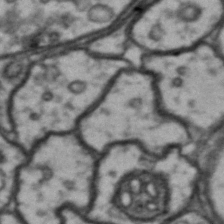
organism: Drosophila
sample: Brain